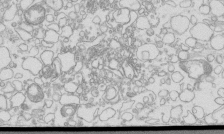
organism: Mouse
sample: Macrophages